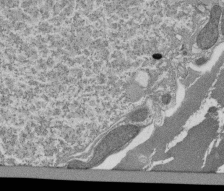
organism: Tetrahymena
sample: Cilia in tetrahymena